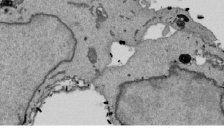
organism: Mouse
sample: ED-1 cell nuclei; centrioles